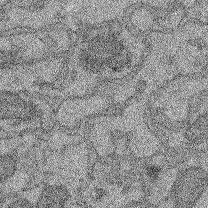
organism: Human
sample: HeLa cells